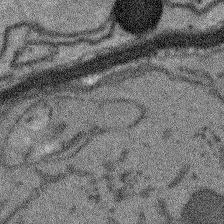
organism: Arabidopsis thaliana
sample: Root tip